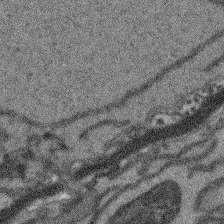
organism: Arabidopsis thaliana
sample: Root tip